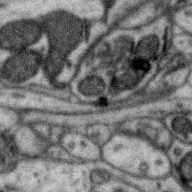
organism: Zebra finch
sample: Brain